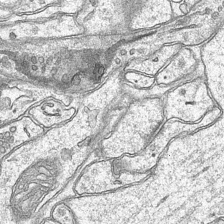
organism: Mouse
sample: CA1 Hippocampus